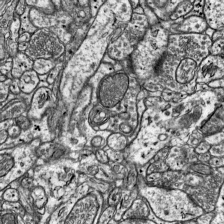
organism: Mouse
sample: Visual Cortex